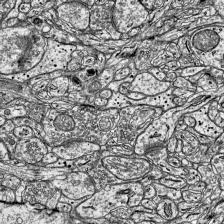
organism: Mouse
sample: Visual Cortex